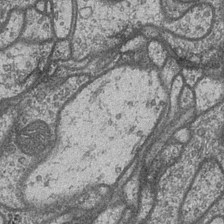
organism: Drosophila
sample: Optic medulla